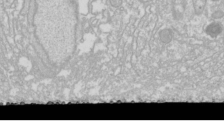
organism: Drosophila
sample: Cell division; meiosis; drosophila spermatocytes